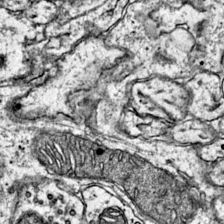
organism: Mouse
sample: Primary visual cortex